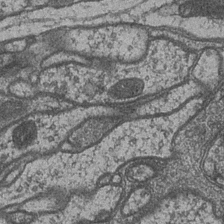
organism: Drosophila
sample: Optic medulla